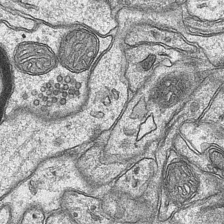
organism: Mouse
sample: CA1 Hippocampus